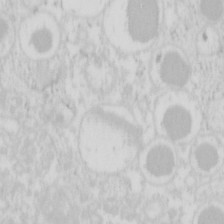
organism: Mouse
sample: Pancreas